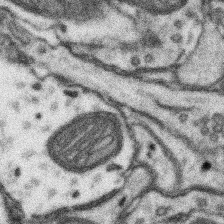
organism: Mouse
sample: Somatosensory cortex neuropil